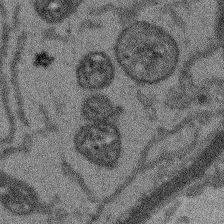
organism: Arabidopsis thaliana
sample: Root tip